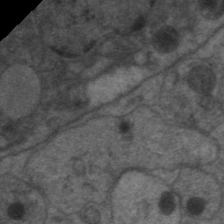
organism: C. elegans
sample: Pharynx